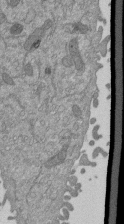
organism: Mouse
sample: ED-1 cell nuclei; centrioles